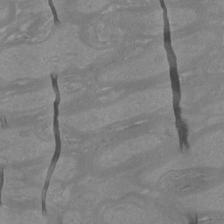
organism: Mouse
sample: Cortical neurons